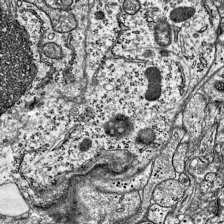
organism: Mouse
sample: Visual Cortex